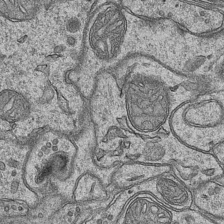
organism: Mouse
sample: CA1 Hippocampus